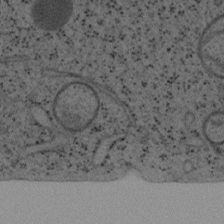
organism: Human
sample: HeLa cells